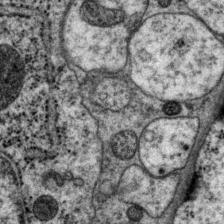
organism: P. pacificus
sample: Pharynx